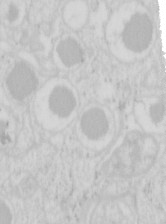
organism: Mouse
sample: Pancreas